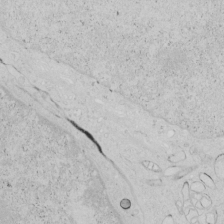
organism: Human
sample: Mitochondria in HCT116 cells